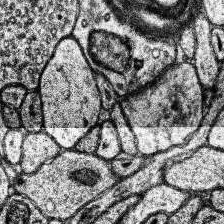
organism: Human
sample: Temporal Lobe